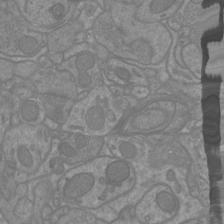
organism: Mouse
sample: Cortical neurons